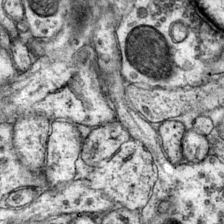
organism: Mouse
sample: Primary visual cortex